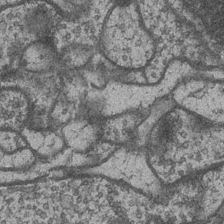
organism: Drosophila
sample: Optic medulla